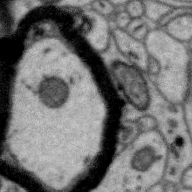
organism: Zebra finch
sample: Brain